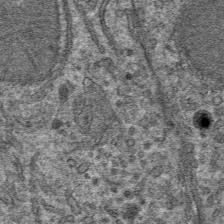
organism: Mouse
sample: Mouse hepatocytes